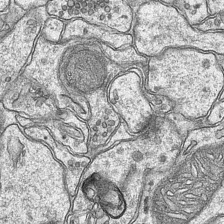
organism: Mouse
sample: CA1 Hippocampus